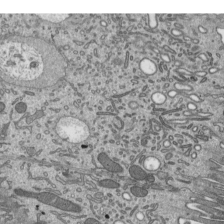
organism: Mouse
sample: Mouse epididymis efferent ductule cilia